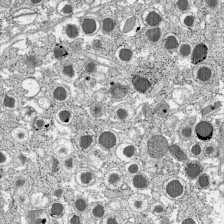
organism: C57BL Mouse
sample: Pancreatic islet